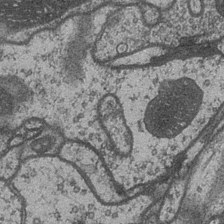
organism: Drosophila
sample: Optic medulla